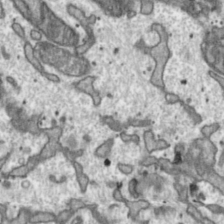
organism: Toxoplasma gondii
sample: Parasites in a vacuole inside a host cell